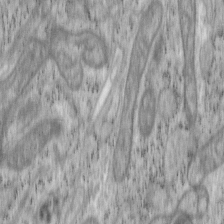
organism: Human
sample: HeLa cells